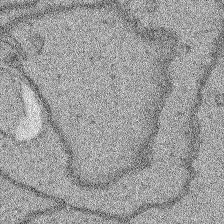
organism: Human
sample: HeLa cells